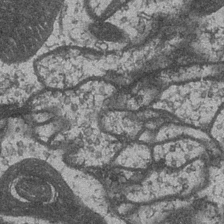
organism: Drosophila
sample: Optic medulla